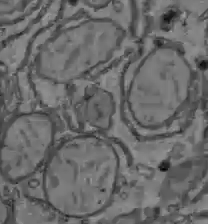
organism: C57BL Mouse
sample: Liver